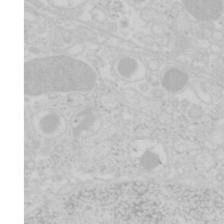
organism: Mouse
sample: Pancreas